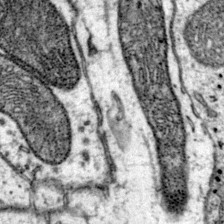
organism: Mouse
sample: Primary visual cortex